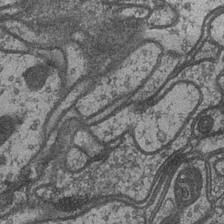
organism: Drosophila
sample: Optic medulla